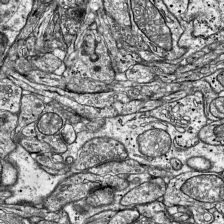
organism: Mouse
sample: Visual Cortex